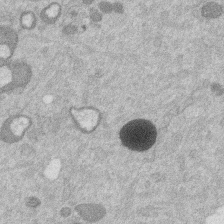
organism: Mouse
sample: Dividing mouse embryo 1 cell stage